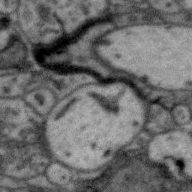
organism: Zebra finch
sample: Brain